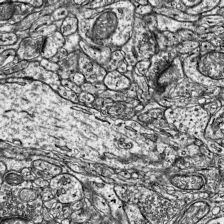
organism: Mouse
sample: Visual Cortex